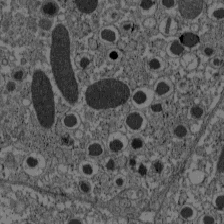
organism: C57BL Mouse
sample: Pancreatic islet